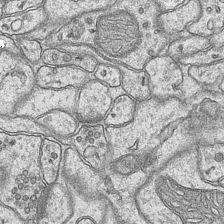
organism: Mouse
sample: CA1 Hippocampus